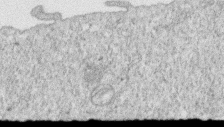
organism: Human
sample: HeLa cell HIV synapse